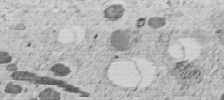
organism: C. elegans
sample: C. elegans embryo early stage